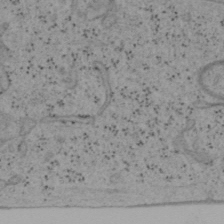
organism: Human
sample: HeLa cells